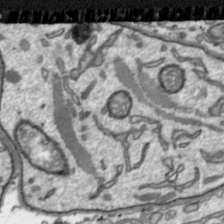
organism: Toxoplasma gondii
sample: Parasites in a vacuole inside a host cell